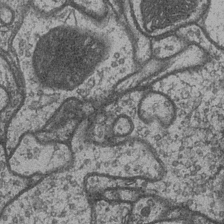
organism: Drosophila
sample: Optic medulla